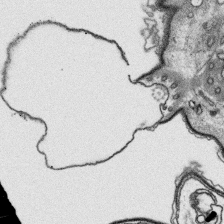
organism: Platynereis dumerilii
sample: Parapodia